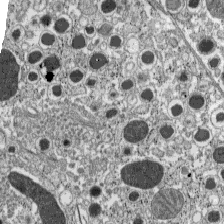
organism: C57BL Mouse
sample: Pancreatic islet